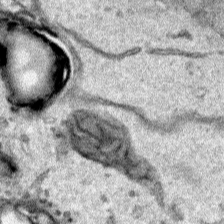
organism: Human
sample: Mitochondria in HCT116 cells